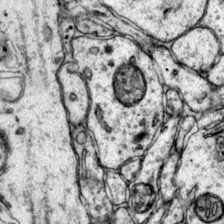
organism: Mouse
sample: Primary visual cortex